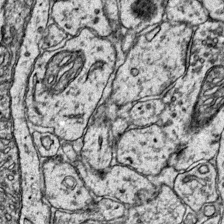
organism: Mouse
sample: Primary visual cortex